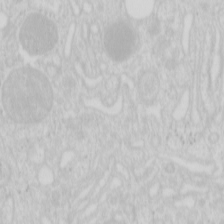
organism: Mouse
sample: Pancreas